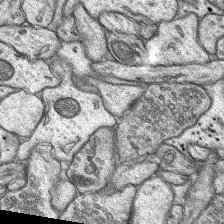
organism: Rat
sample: Hippocampus